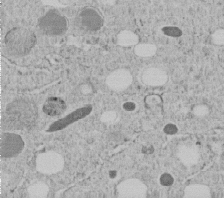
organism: C. elegans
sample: C. elegans embryo early stage